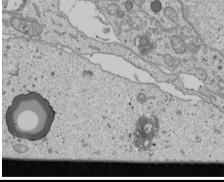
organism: Human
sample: Mitochondria in U2OS cells